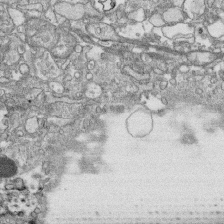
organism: Human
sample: CRL-1474